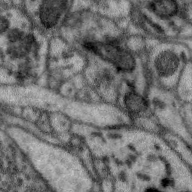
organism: Zebra finch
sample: Brain